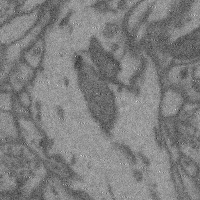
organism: Mouse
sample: Cerebral cortex